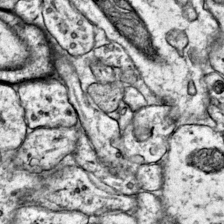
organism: Mouse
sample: Primary visual cortex